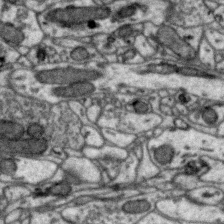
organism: Zebra finch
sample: Brain